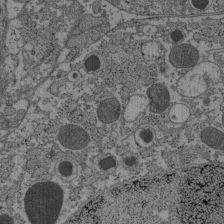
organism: C57BL Mouse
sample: Pancreatic islet